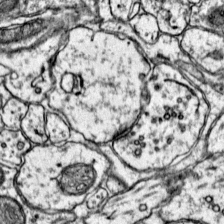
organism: Mouse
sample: Primary visual cortex